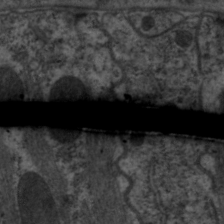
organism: C. elegans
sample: Pharynx